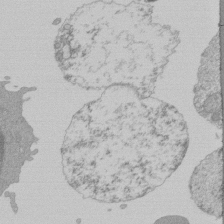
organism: Mouse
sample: Activated Pmel transgenic CD8+ T Cells